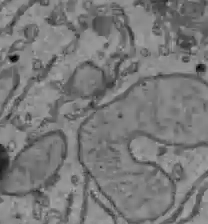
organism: C57BL Mouse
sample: Liver